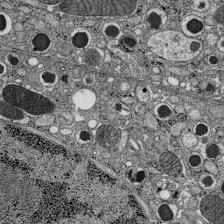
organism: C57BL Mouse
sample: Pancreatic islet